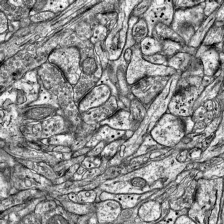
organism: Mouse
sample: Visual Cortex